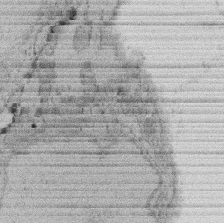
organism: Rat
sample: Salivary granule